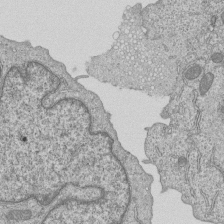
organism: Human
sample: MDA-MB-231 cells